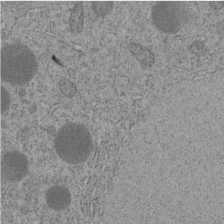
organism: C. elegans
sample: C. elegans embryo early stage